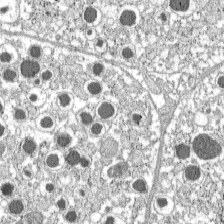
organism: C57BL Mouse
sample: Pancreatic islet